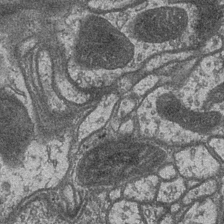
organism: Drosophila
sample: Optic medulla